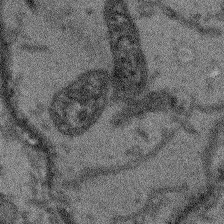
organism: Arabidopsis thaliana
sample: Root tip